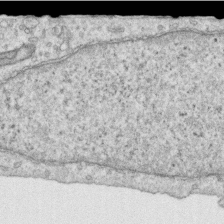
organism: Human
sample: Centriole in RPE cells